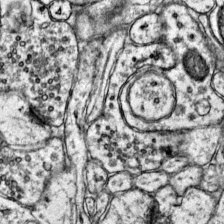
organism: Mouse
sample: Primary visual cortex